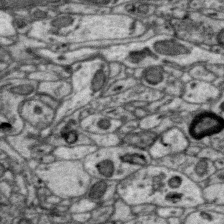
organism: Zebra finch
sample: Brain